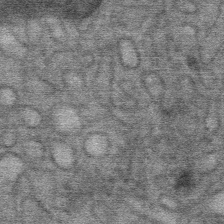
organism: Mouse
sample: Mouse Salivary gland